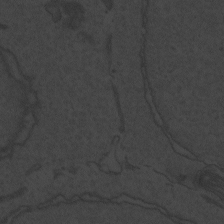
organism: Zebrafish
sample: Macrophage infected with Toxoplasma gondii